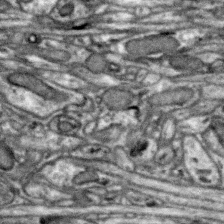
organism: Zebra finch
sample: Brain